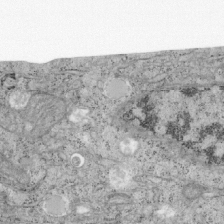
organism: Human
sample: HeLa cells